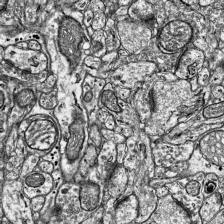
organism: Mouse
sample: Visual Cortex